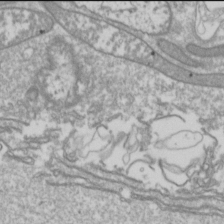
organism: Drosophila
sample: Cell division; meiosis; drosophila spermatocytes